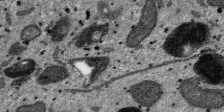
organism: Human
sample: Lung epithelial cells, uninfected (mock) control